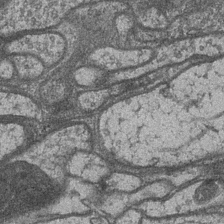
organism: Drosophila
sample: Optic medulla